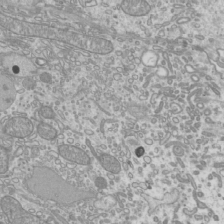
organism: Mouse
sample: Cilia; mouse epididymis